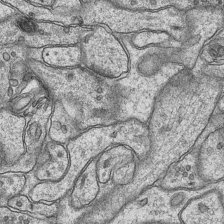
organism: Mouse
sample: CA1 Hippocampus